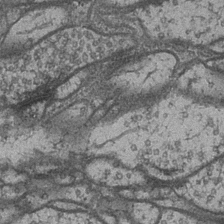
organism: Drosophila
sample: Optic medulla